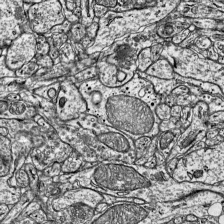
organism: Mouse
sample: Visual Cortex